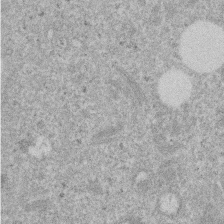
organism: Mouse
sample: Dividing mouse embryo 1 cell stage